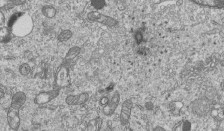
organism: Human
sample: MDA-MB-231 cells